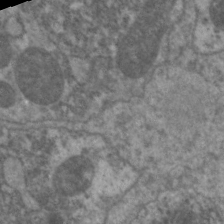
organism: C. elegans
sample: Pharynx